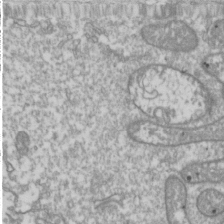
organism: Drosophila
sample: Cell division; meiosis; drosophila spermatocytes